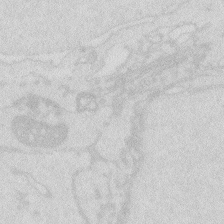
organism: Zebrafish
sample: Macrophage